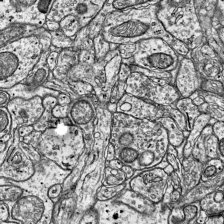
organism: Mouse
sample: Visual Cortex